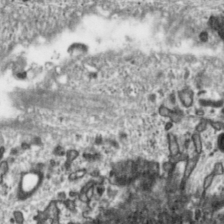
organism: Toxoplasma gondii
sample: Parasites in a vacuole inside a host cell